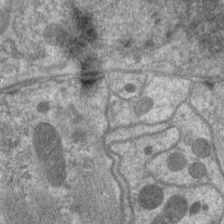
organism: C. elegans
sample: Pharynx